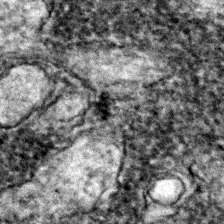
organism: Zebrafish